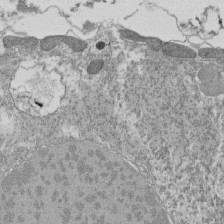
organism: Tetrahymena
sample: Cilia in tetrahymena